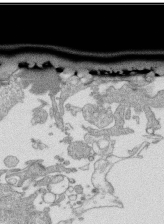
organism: Human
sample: HeLa cell HIV synapse